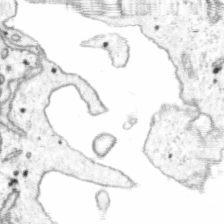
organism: Human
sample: HeLa cells